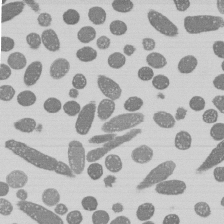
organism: E. coli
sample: Bacterial nucleoid